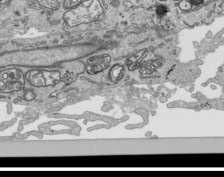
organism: Human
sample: Mitochondria in HCT116 cells